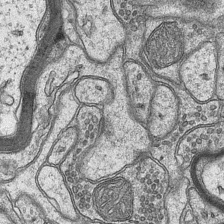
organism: Mouse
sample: CA1 Hippocampus